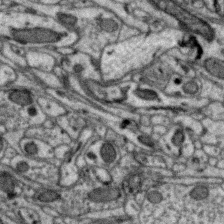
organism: Zebra finch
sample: Brain